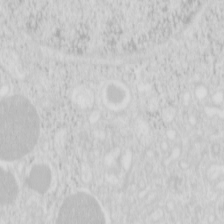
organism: Mouse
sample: Pancreas